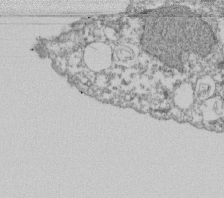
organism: Dictyostelium discoideum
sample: Dictyostelium multivesicular bodies